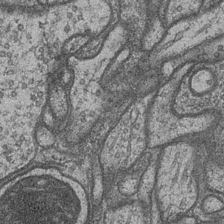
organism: Drosophila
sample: Optic medulla